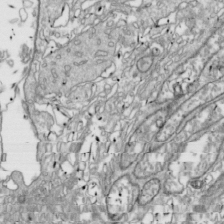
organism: Drosophila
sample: Cell division; meiosis; drosophila spermatocytes